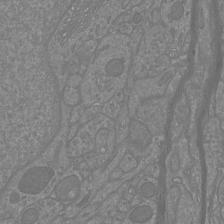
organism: Mouse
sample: Cortical neurons